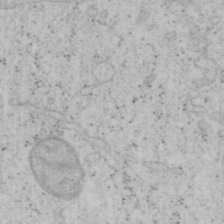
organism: Human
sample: HeLa cells